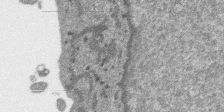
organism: Human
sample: Lung epithelial cells infected with SARS-CoV-2